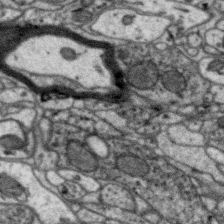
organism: Zebra finch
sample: Brain